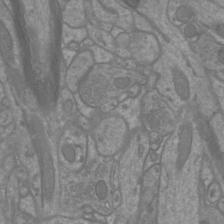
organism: Mouse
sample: Cortical neurons